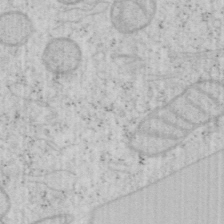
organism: Human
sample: HeLa cells